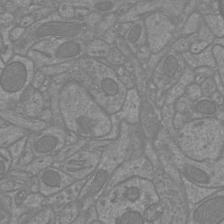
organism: Mouse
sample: Cortical neurons